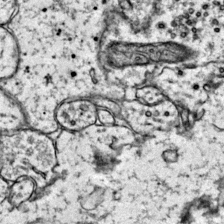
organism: Mouse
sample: Primary visual cortex